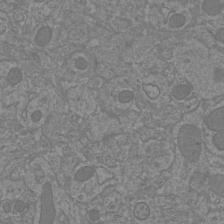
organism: Mouse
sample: Cortical neurons